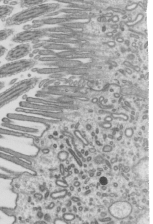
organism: Mouse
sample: Mouse epididymis efferent ductule cilia